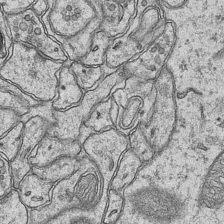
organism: Mouse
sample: CA1 Hippocampus